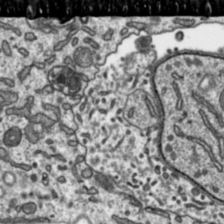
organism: Toxoplasma gondii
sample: Parasites in a vacuole inside a host cell